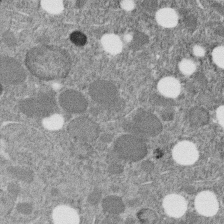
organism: C. elegans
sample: C. elegans embryo early stage